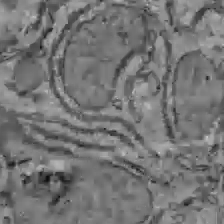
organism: C57BL Mouse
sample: Liver